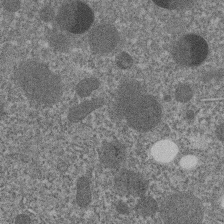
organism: C. elegans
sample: C. elegans embryo early stage